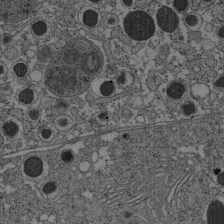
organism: C57BL Mouse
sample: Pancreatic islet